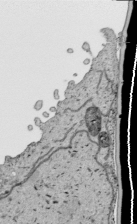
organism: Human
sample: Mitochondria in HCT116 cells